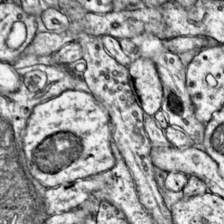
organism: Mouse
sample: Primary visual cortex